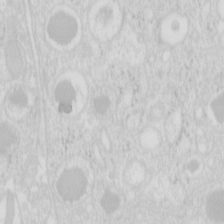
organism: Mouse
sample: Pancreas